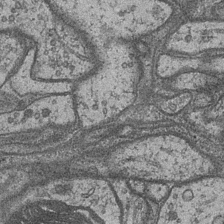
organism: Drosophila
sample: Optic medulla